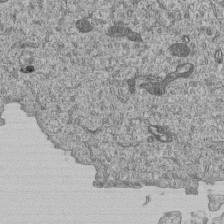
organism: Human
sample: MDA-MB-231 cells